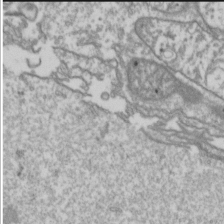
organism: Drosophila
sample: Cell division; meiosis; drosophila spermatocytes